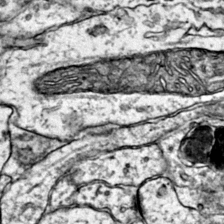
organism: Mouse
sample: Primary visual cortex